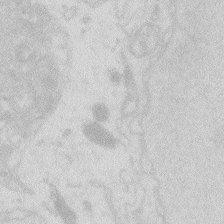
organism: Zebrafish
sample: Macrophage